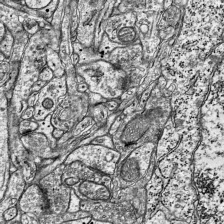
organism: Mouse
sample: Visual Cortex